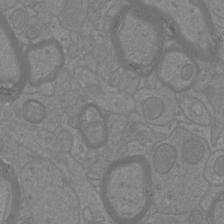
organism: Mouse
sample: Cortical neurons